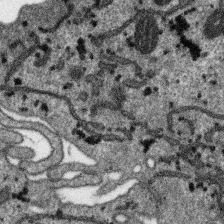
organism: Human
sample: Lung epithelial cells infected with SARS-CoV-2